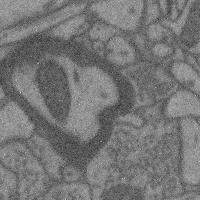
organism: Mouse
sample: Cerebral cortex